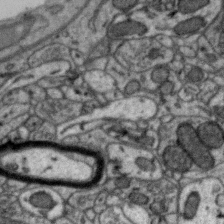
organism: Zebra finch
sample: Brain